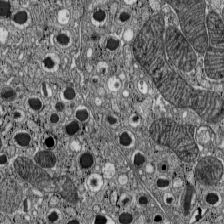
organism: C57BL Mouse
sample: Pancreatic islet